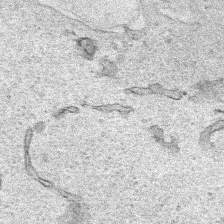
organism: Human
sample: Mitochondria in HCT116 cells